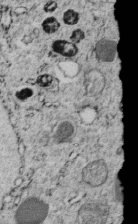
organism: C. elegans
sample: C. elegans embryo early stage